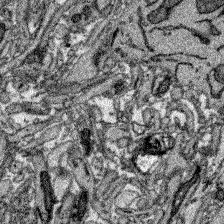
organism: Zebrafish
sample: Larval olfactory bulb